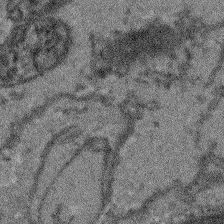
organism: Arabidopsis thaliana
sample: Root tip